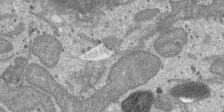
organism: Human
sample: Lung epithelial cells infected with SARS-CoV-2